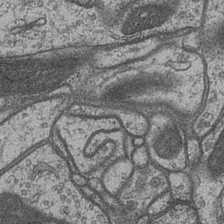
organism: Drosophila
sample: Optic medulla